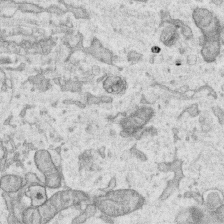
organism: Human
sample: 1205lu cells